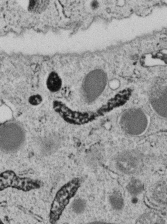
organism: C. elegans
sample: C. elegans embryo early stage